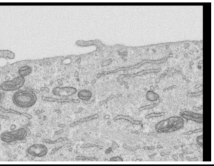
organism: Human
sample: Centriole in RPE cells